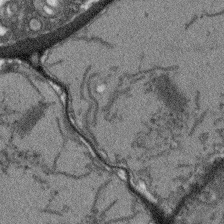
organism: Arabidopsis thaliana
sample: Root tip